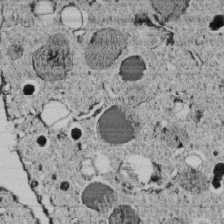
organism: C. elegans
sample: C. elegans embryo early stage